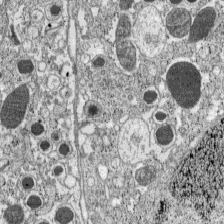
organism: C57BL Mouse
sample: Pancreatic islet